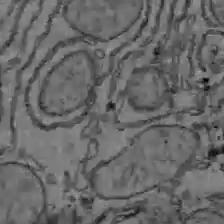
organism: C57BL Mouse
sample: Liver